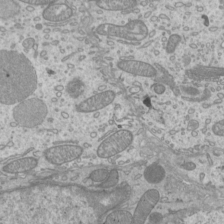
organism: Mouse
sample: Cilia; mouse epididymis